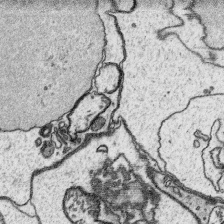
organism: Platynereis dumerilii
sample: Parapodia